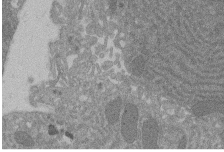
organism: Rat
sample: Salivary granule